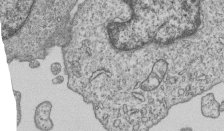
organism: Human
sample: MDA-MB-231 cells